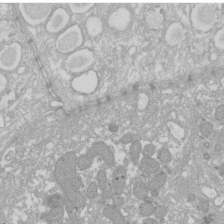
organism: Xenopus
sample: Cilia; centrioles in frog embryo cells